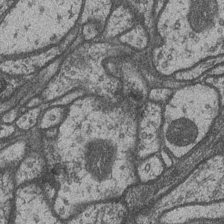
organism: Drosophila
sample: Optic medulla